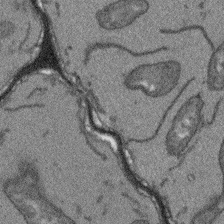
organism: Arabidopsis thaliana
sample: Root tip